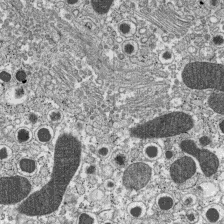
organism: C57BL Mouse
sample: Pancreatic islet